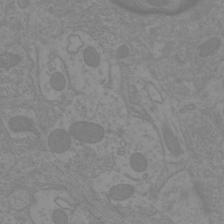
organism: Mouse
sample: Cortical neurons